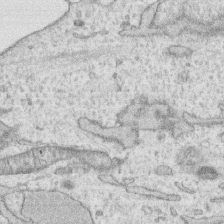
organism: Human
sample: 1205lu cells